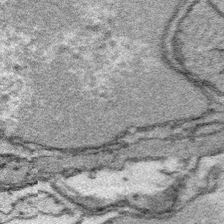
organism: Platynereis dumerilii